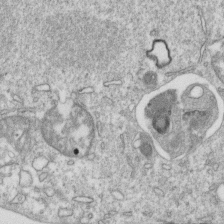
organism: Mouse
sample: Activated OT-1 CD8+ T cells